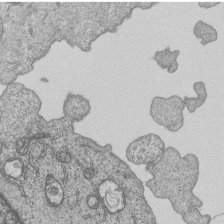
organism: Human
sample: MDA-MB-231 cells